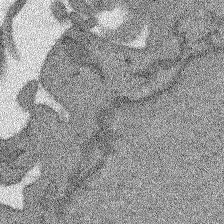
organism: Human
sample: HeLa cells